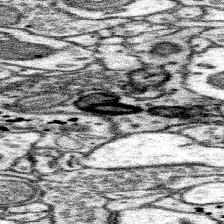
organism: Mouse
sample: Somatosensory cortex neuropil